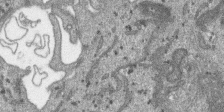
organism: Human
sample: Lung epithelial cells infected with SARS-CoV-2